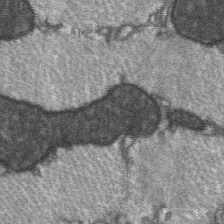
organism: C57BL Mouse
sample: Soleus